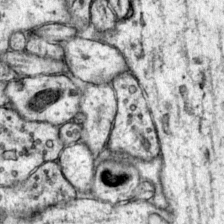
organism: Mouse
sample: Primary visual cortex